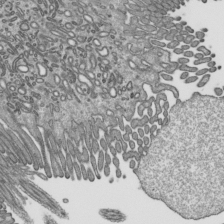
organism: Mouse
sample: Mouse epididymis efferent ductule cilia